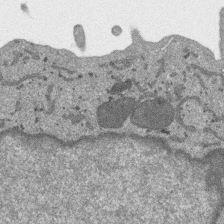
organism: Human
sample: Lung epithelial cells infected with SARS-CoV-2